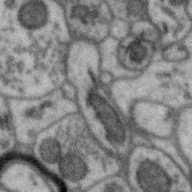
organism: Zebra finch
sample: Brain